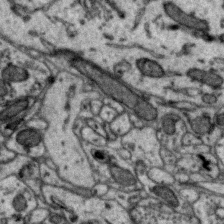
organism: Zebra finch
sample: Brain